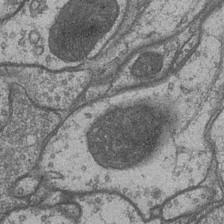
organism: Drosophila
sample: Optic medulla